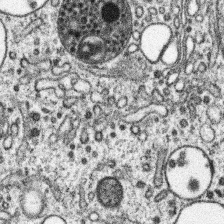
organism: Human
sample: HeLa cells